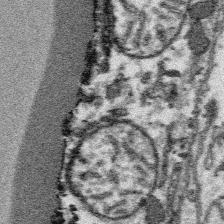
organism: Platynereis dumerilii